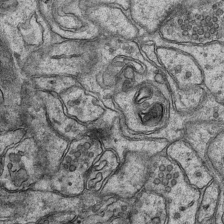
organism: Mouse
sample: CA1 Hippocampus